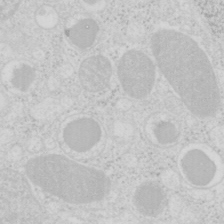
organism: Mouse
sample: Pancreas